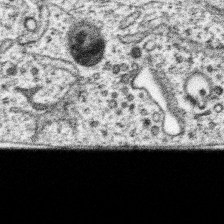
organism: Human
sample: HeLa cells